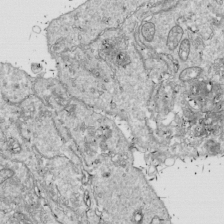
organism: Drosophila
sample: Cell division; meiosis; drosophila spermatocytes